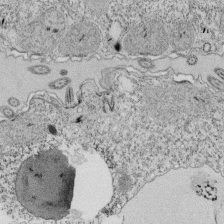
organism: Tetrahymena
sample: Cilia in tetrahymena